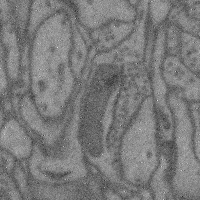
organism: Mouse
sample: Cerebral cortex